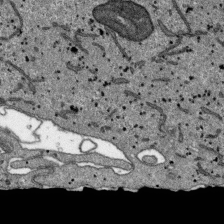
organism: Human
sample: Lung epithelial cells, uninfected (mock) control